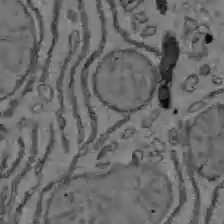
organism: C57BL Mouse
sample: Liver